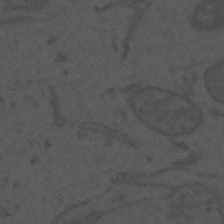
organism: Mouse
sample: Suprachiasmatic nucleus